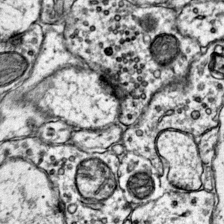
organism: Mouse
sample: Primary visual cortex